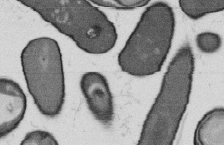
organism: B. subtilis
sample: Bacterial spore